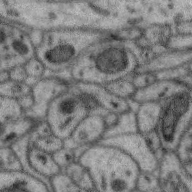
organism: Zebra finch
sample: Brain